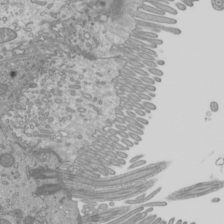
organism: Mouse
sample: Cilia; mouse epididymis